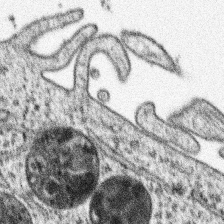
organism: Human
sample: HeLa cells